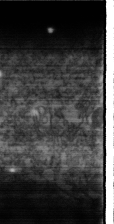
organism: Drosophila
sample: Cell division; meiosis; drosophila spermatocytes